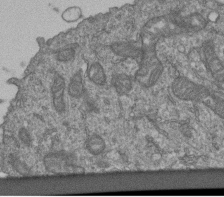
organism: Human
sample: Retinal organoid Rod and Cone cells